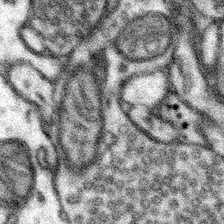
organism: Mouse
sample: Somatosensory cortex neuropil